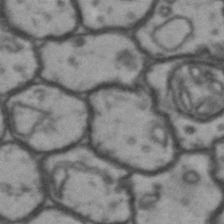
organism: Drosophila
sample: Brain